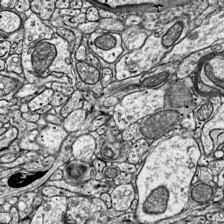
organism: Mouse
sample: Visual Cortex